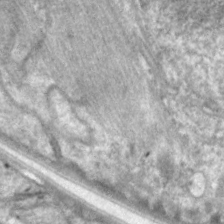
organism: C. elegans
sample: Pharynx